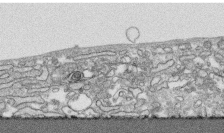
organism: Human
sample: CRL-1474